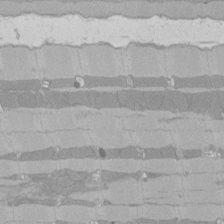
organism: Rat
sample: Left ventricle